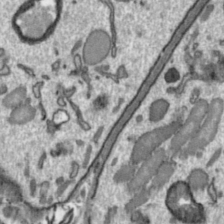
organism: Toxoplasma gondii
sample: Parasites in a vacuole inside a host cell